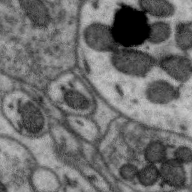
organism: Zebra finch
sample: Brain